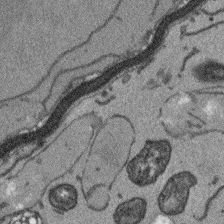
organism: Arabidopsis thaliana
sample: Root tip